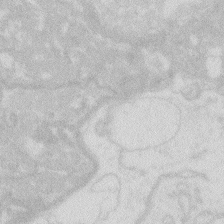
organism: Zebrafish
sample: Macrophage